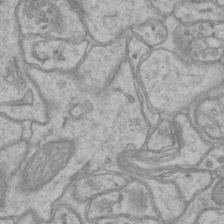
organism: Mouse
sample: CA1 Hippocampus